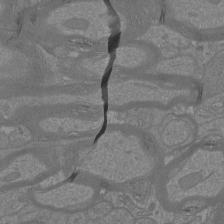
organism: Mouse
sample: Cortical neurons